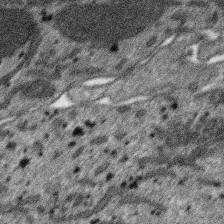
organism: Human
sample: Lung epithelial cells infected with SARS-CoV-2